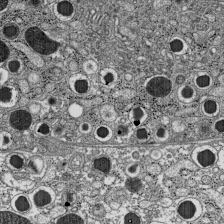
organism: C57BL Mouse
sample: Pancreatic islet